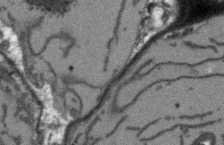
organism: Arabidopsis thaliana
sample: Root tip